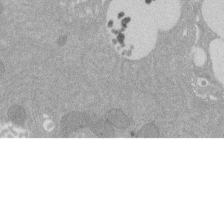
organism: Rat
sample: Salivary granule